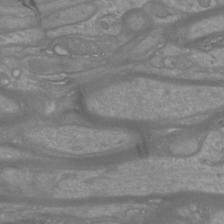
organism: Mouse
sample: Cortical neurons